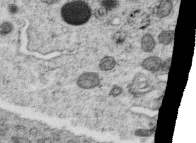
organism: C. elegans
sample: C. elegans oocyte; sperm cells